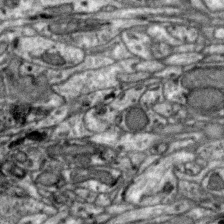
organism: Zebra finch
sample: Brain